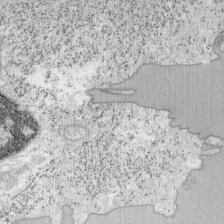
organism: Mouse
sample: OT-I killer T cells with ID8 ovarian cancer cells